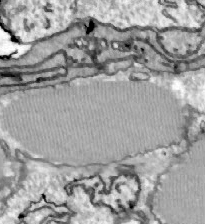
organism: Zebrafish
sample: Actinotrichia fibers